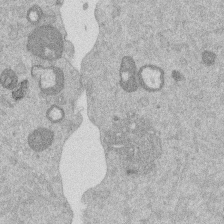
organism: Mouse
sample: Dividing mouse embryo 1 cell stage